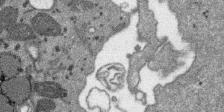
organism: Human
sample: Lung epithelial cells infected with SARS-CoV-2